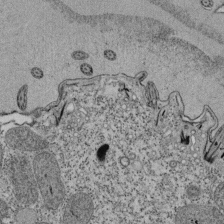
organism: Tetrahymena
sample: Cilia in tetrahymena